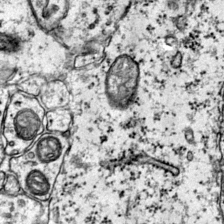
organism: Mouse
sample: Primary visual cortex